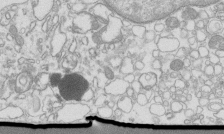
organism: Mouse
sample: Macrophages